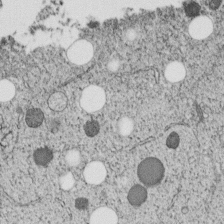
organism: C. elegans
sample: C. elegans embryo early stage